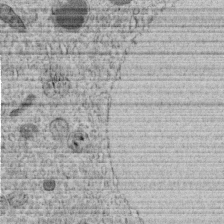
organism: C. elegans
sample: C. elegans embryo early stage